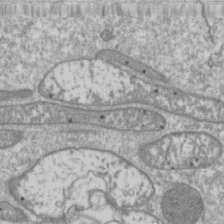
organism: Drosophila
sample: Cell division; meiosis; drosophila spermatocytes